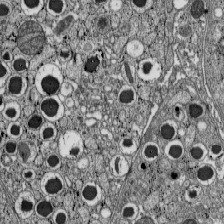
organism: C57BL Mouse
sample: Pancreatic islet